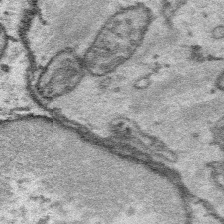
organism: Platynereis dumerilii